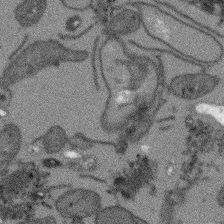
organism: Arabidopsis thaliana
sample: Root tip